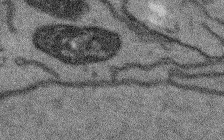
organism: Arabidopsis thaliana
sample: Root tip